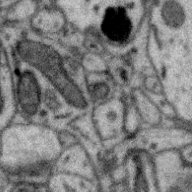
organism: Zebra finch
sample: Brain